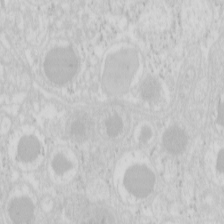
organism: Mouse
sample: Pancreas